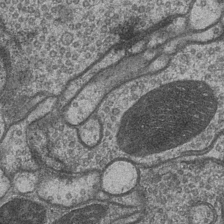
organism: Drosophila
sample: Optic medulla